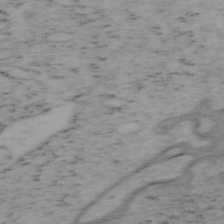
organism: Mouse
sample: OT-I killer T cells with ID8 ovarian cancer cells